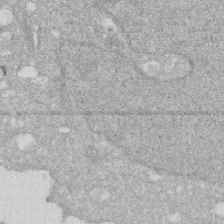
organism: Human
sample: HIV infected U937 cells